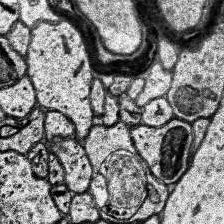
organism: Human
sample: Temporal Lobe